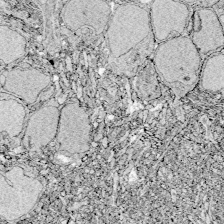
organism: Zebrafish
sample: Whole-Brain